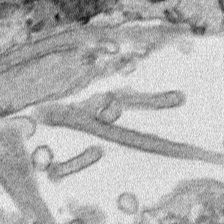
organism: Human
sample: Mitochondria in HCT116 cells